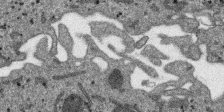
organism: Human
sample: Lung epithelial cells infected with SARS-CoV-2